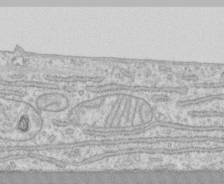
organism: Human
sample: CRL-1474